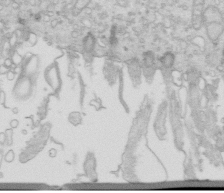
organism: Mouse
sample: Multiciliated cells